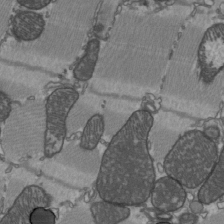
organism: C57BL Mouse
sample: Heart